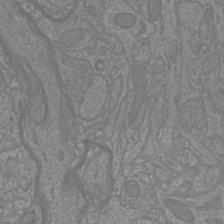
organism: Mouse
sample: Cortical neurons